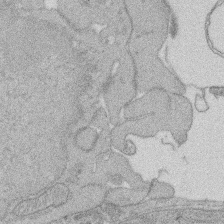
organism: Rat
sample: Salivary granule